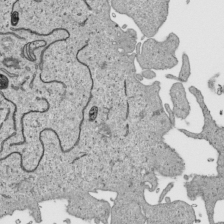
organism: Human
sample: Mitochondria in HCT116 cells